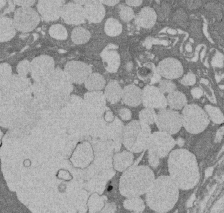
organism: Rat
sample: Salivary granule